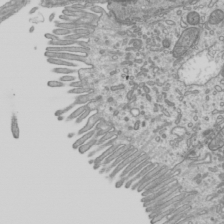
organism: Mouse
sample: Cilia; mouse epididymis